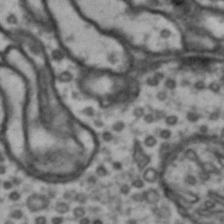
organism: Drosophila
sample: Brain